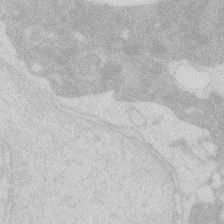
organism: Zebrafish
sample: Macrophage